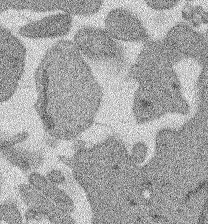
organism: Human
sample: HeLa cells